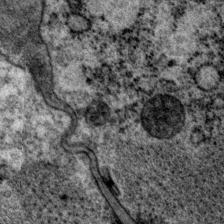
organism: P. pacificus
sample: Pharynx